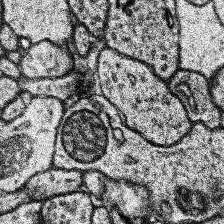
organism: Human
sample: Temporal Lobe